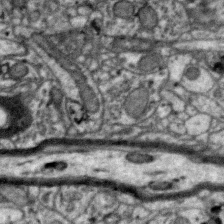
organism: Zebra finch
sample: Brain